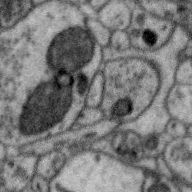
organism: Zebra finch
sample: Brain